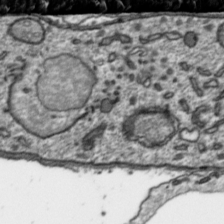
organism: Toxoplasma gondii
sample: Parasites in a vacuole inside a host cell